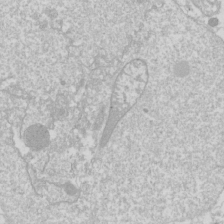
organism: Drosophila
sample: Cell division; meiosis; drosophila spermatocytes